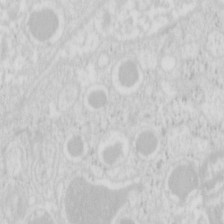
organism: Mouse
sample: Pancreas